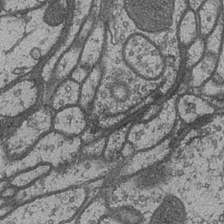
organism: Drosophila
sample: Optic medulla